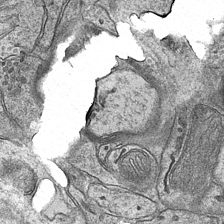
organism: Mouse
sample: CA1 Hippocampus